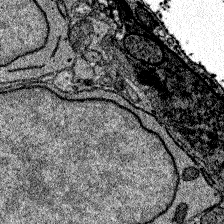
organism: Zebrafish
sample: Larval olfactory bulb